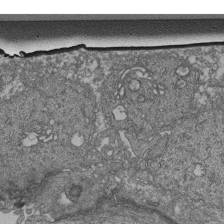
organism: Human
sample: Retinal organoid Rod and Cone cells